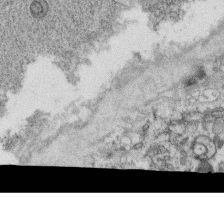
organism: C. elegans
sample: C. elegans oocyte; sperm cells